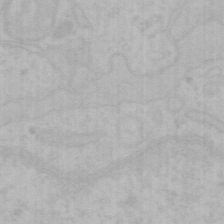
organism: Mouse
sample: Choroid plexus